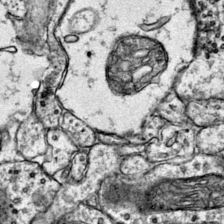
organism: Mouse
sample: Primary visual cortex